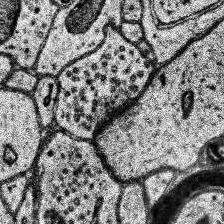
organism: Human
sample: Temporal Lobe